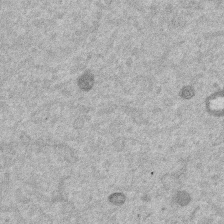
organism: Mouse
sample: Dividing mouse embryo 1 cell stage